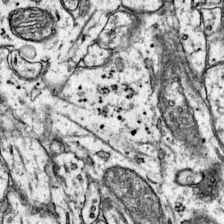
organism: Mouse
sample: Primary visual cortex